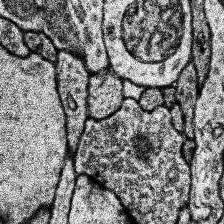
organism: Human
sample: Temporal Lobe